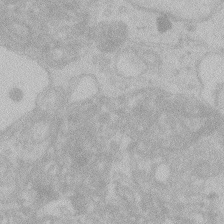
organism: Zebrafish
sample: Macrophage infected with Toxoplasma gondii